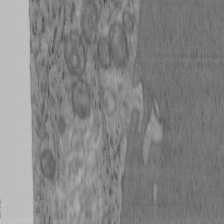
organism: Human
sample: HeLa cells